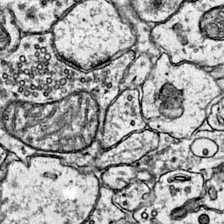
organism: Mouse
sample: Primary visual cortex